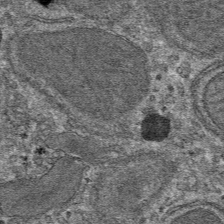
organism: Mouse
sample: Mouse hepatocytes